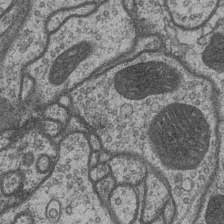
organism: Drosophila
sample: Optic medulla